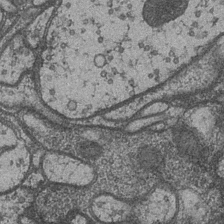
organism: Drosophila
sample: Optic medulla